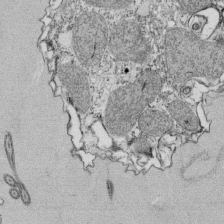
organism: Tetrahymena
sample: Cilia in tetrahymena